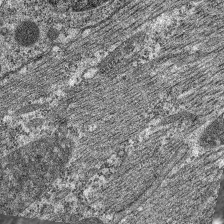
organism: C. elegans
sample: Pharynx